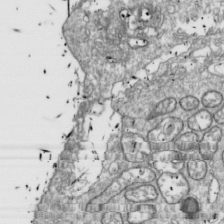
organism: Drosophila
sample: Cell division; meiosis; drosophila spermatocytes